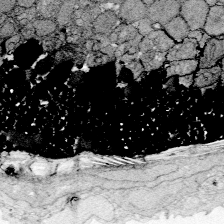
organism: Zebrafish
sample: Whole-Brain